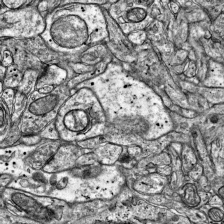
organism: Mouse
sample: Visual Cortex